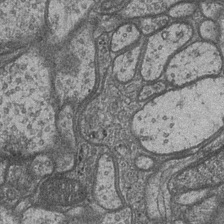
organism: Drosophila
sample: Optic medulla